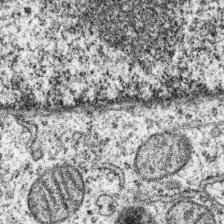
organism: Human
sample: HeLa cells